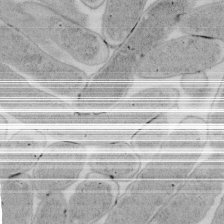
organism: E. coli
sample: Bacterial nucleoid